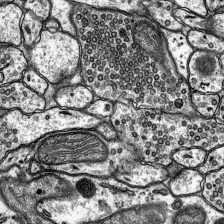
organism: Rat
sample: Hippocampus